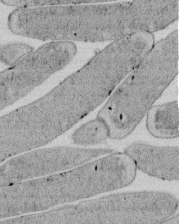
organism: E. coli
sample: Bacterial nucleoid